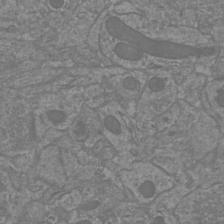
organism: Mouse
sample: Cortical neurons